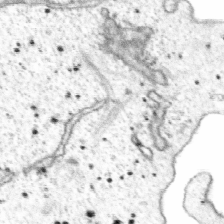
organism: Human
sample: HeLa cells